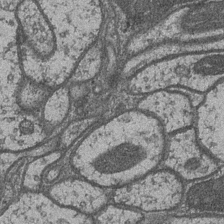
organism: Drosophila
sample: Optic medulla